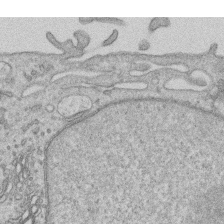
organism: Human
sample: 1205lu cells